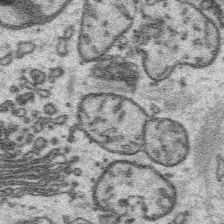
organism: Platynereis dumerilii